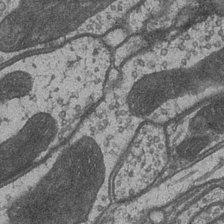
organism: Drosophila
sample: Optic medulla